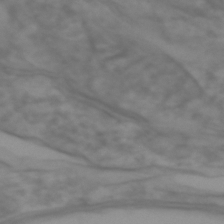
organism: Zebrafish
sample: Zebrafish embryo